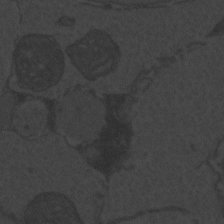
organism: Zebrafish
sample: Macrophage infected with Toxoplasma gondii